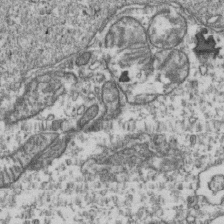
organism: Human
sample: Activated Jurkat CD4+ T cells